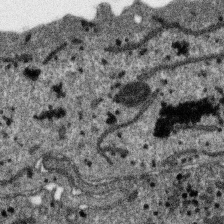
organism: Human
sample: Lung epithelial cells infected with SARS-CoV-2